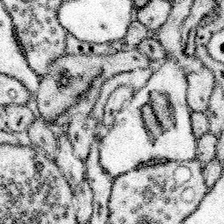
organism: Mouse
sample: Somatosensory cortex neuropil